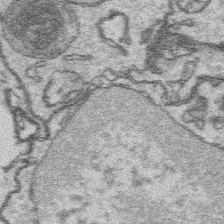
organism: Platynereis dumerilii